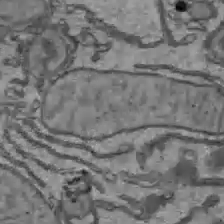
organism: C57BL Mouse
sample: Liver